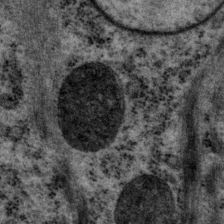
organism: P. pacificus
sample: Pharynx